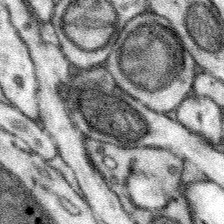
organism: Mouse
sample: Somatosensory cortex neuropil